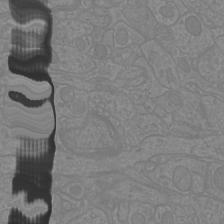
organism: Mouse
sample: Cortical neurons